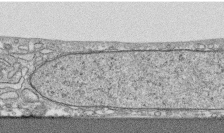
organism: Human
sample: CRL-1474